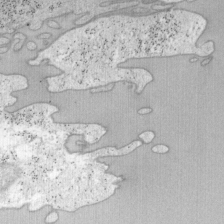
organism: Mouse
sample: OT-I killer T cells with ID8 ovarian cancer cells